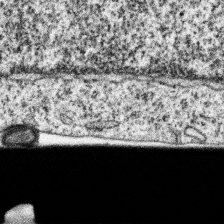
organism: Human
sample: HeLa cells